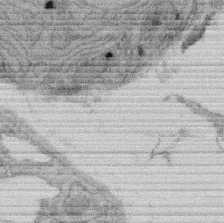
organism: Rat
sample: Salivary granule